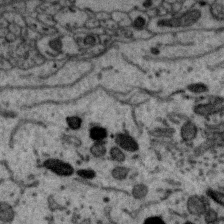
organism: Zebra finch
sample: Brain